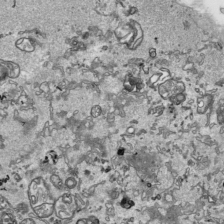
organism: Human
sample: Mitochondria in HCT116 cells